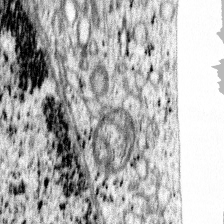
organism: Human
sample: HeLa cells